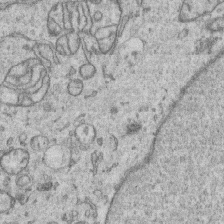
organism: Human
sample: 1205lu cells